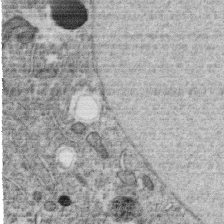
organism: C. elegans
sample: C. elegans oocyte; sperm cells